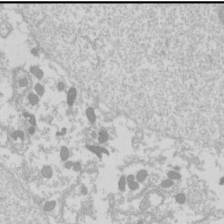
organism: Drosophila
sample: Cell division; meiosis; drosophila spermatocytes